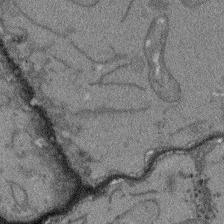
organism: Arabidopsis thaliana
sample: Root tip